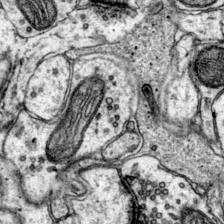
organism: Mouse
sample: Primary visual cortex